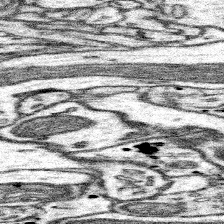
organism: Mouse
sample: Somatosensory cortex neuropil